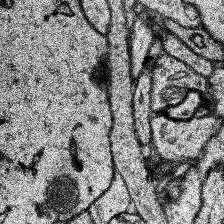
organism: Human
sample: Temporal Lobe